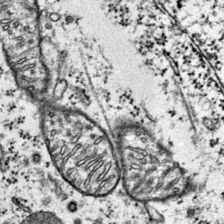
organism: Mouse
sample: Primary visual cortex